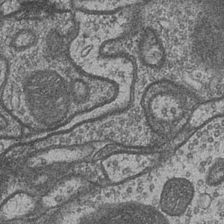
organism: Drosophila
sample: Optic medulla